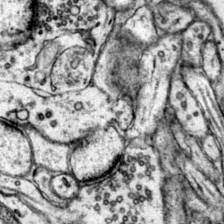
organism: Mouse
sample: Primary visual cortex